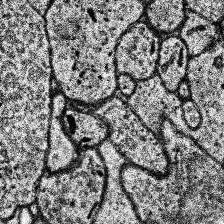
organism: Human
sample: Temporal Lobe